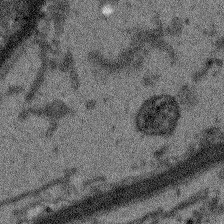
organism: Arabidopsis thaliana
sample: Root tip